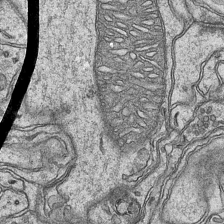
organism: Mouse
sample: CA1 Hippocampus